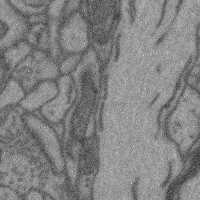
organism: Mouse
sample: Cerebral cortex